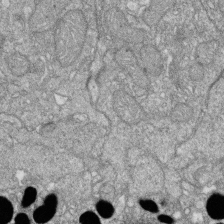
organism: Zebrafish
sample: Cilia; retinal pigment epithelium